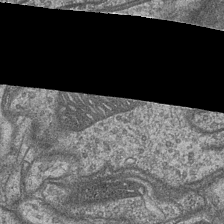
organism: Drosophila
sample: Optic medulla